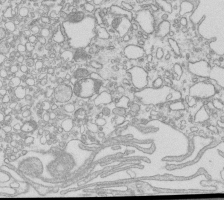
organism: Mouse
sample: Macrophages